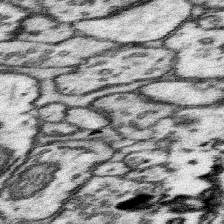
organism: Mouse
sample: Somatosensory cortex neuropil